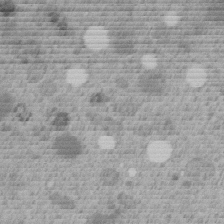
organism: C. elegans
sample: C. elegans embryo early stage